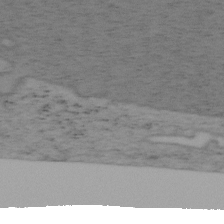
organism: Mouse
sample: OT-I killer T cells with ID8 ovarian cancer cells